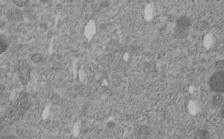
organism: C. elegans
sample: C. elegans embryo early stage